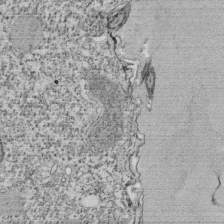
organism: Tetrahymena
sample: Cilia in tetrahymena